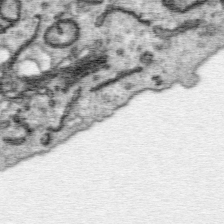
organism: Human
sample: HeLa cells